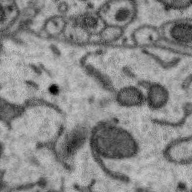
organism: Zebra finch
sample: Brain